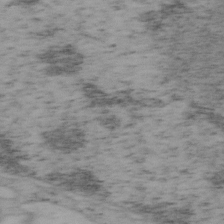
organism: Mouse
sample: OT-I killer T cells with ID8 ovarian cancer cells